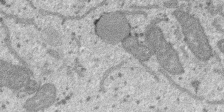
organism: Human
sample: Lung epithelial cells infected with SARS-CoV-2